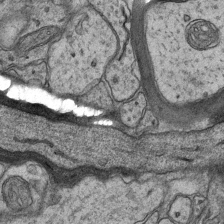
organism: Mouse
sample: CA1 Hippocampus